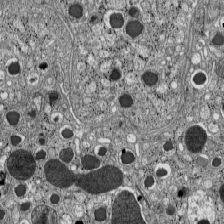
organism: C57BL Mouse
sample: Pancreatic islet